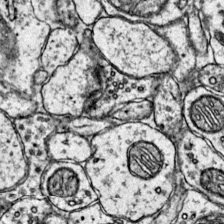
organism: Mouse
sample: Primary visual cortex